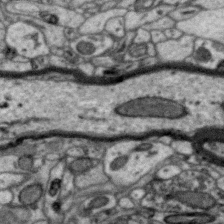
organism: Zebra finch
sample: Brain